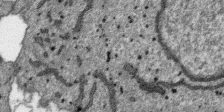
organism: Human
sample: Lung epithelial cells, uninfected (mock) control